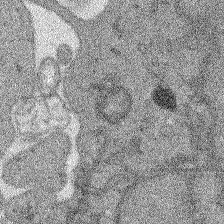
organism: Human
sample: HeLa cells